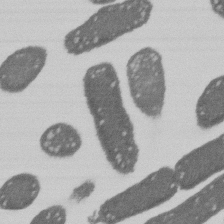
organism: E. coli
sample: Bacterial nucleoid